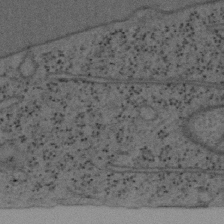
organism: Human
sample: HeLa cells